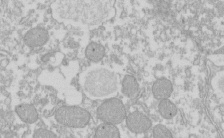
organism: Xenopus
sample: Cilia; centrioles in frog embryo cells